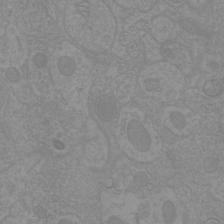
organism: Mouse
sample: Cortical neurons